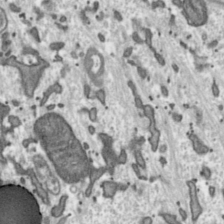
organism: Toxoplasma gondii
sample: Parasites in a vacuole inside a host cell